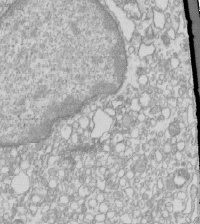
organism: Mouse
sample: Macrophages